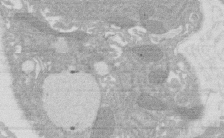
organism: Rat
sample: Salivary granule